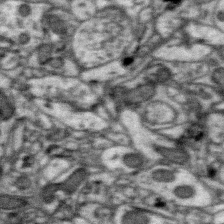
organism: Zebra finch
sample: Brain